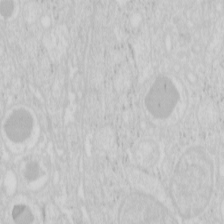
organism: Mouse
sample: Pancreas